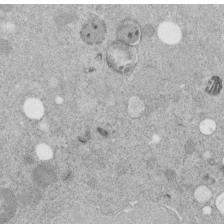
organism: C. elegans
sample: C. elegans embryo early stage